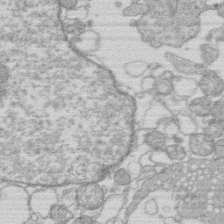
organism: Human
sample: Macrophage cells